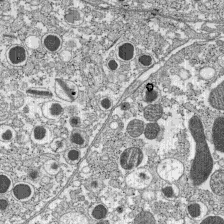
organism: C57BL Mouse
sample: Pancreatic islet